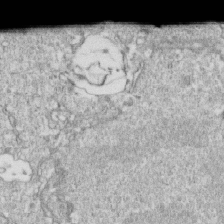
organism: Mouse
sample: Activated OT-1 CD8+ T cells